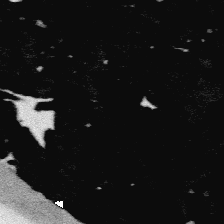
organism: Platynereis dumerilii